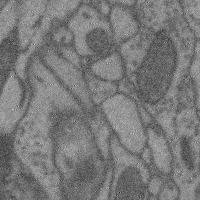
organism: Mouse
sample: Cerebral cortex